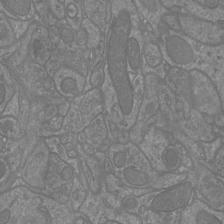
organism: Mouse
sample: Cortical neurons